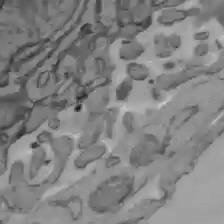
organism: C57BL Mouse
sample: Liver